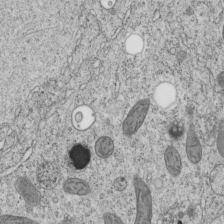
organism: C. elegans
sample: C. elegans embryo early stage